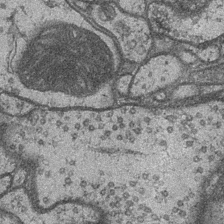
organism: Drosophila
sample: Optic medulla